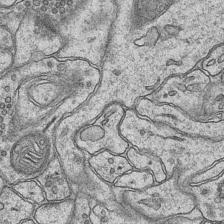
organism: Mouse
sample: CA1 Hippocampus